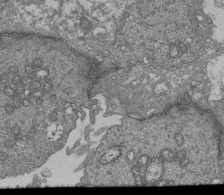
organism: Human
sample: Retinal organoid Rod and Cone cells